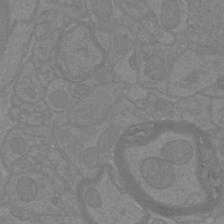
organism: Mouse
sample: Cortical neurons